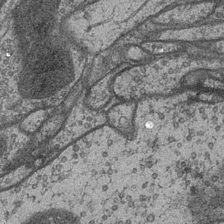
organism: Drosophila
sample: Optic medulla